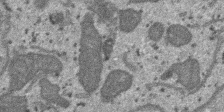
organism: Human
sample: Lung epithelial cells infected with SARS-CoV-2